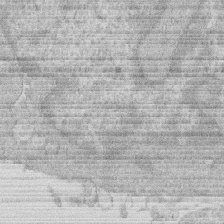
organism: Human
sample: Macrophage cells